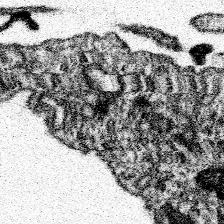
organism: Spongilla lacustris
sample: Neuroid cell